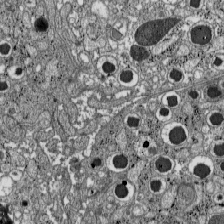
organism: C57BL Mouse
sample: Pancreatic islet